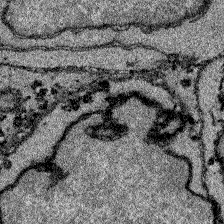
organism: Zebrafish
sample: Larval olfactory bulb